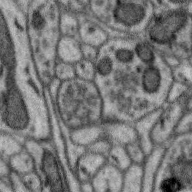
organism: Zebra finch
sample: Brain